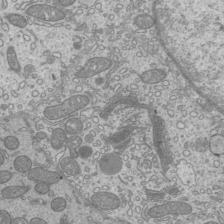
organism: Mouse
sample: Cilia; mouse epididymis